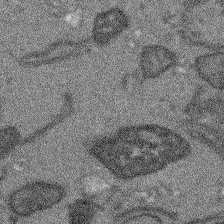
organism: Arabidopsis thaliana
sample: Root tip